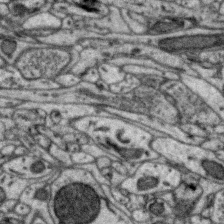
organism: Zebra finch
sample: Brain